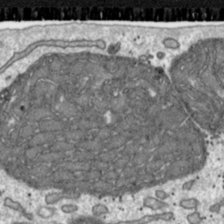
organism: Toxoplasma gondii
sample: Parasites in a vacuole inside a host cell